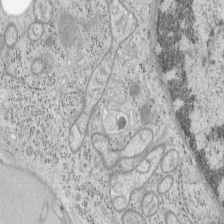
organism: Mouse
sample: OT-I killer T cells with ID8 ovarian cancer cells